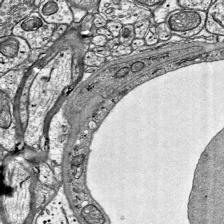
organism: Mouse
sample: Visual Cortex